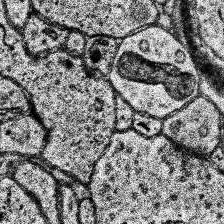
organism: Human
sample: Temporal Lobe